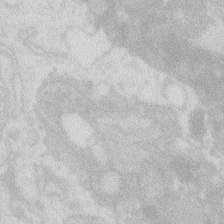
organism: Zebrafish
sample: Macrophage